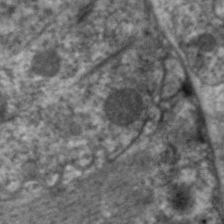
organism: C. elegans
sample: Pharynx